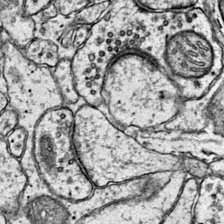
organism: Mouse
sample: Primary visual cortex